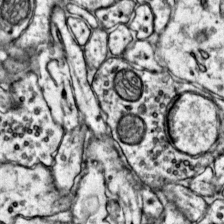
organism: Mouse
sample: Primary visual cortex